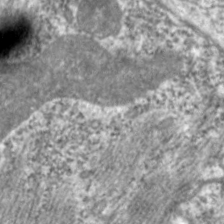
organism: C. elegans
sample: Pharynx